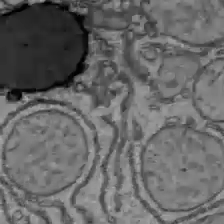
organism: C57BL Mouse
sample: Liver